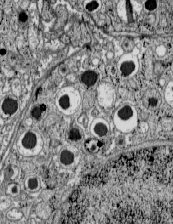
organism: C57BL Mouse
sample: Pancreatic islet